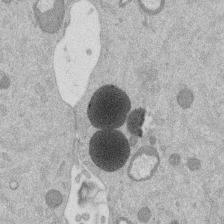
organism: Mouse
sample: Dividing mouse embryo 1 cell stage